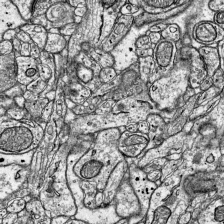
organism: Mouse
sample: Visual Cortex